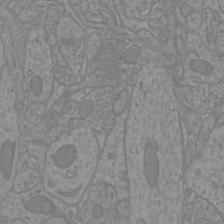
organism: Mouse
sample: Cortical neurons